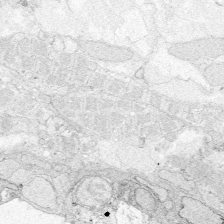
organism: Zebrafish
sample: Whole-Brain